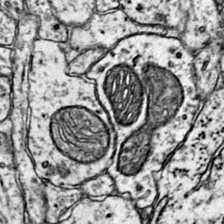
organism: Mouse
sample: Primary visual cortex